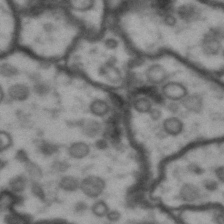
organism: Drosophila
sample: Brain